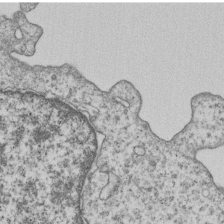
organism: Human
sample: MDA-MB-231 cells